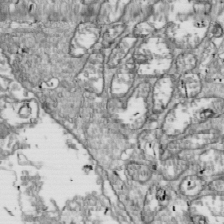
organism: Drosophila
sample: Cell division; meiosis; drosophila spermatocytes